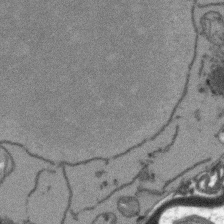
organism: Arabidopsis thaliana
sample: Root tip